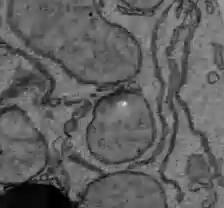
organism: C57BL Mouse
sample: Liver